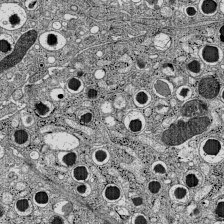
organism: C57BL Mouse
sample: Pancreatic islet